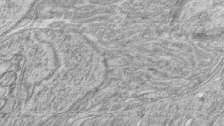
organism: Zebrafish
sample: synaptic ribbons in rod cells and cone cells